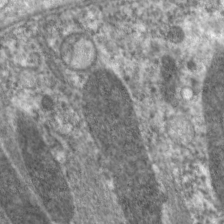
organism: C. elegans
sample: Pharynx